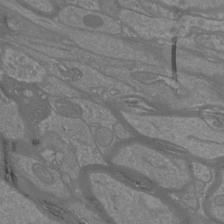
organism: Mouse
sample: Cortical neurons